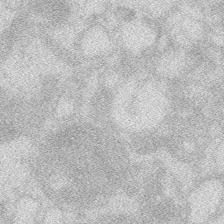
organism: Zebrafish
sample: Macrophage